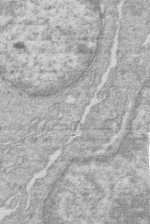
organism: Human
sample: Macrophage cells